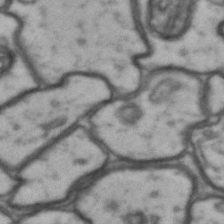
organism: Drosophila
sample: Brain